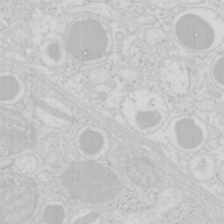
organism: Mouse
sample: Pancreas